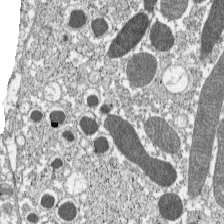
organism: C57BL Mouse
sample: Pancreatic islet